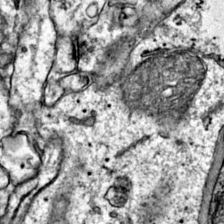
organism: Mouse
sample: Primary visual cortex